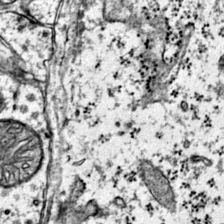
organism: Mouse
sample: Primary visual cortex